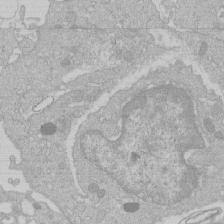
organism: Human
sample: Macrophage cells